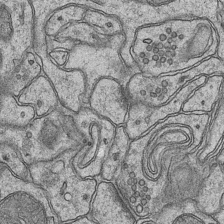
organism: Mouse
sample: CA1 Hippocampus